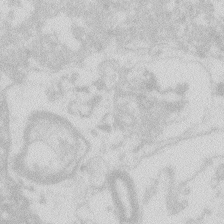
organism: Zebrafish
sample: Macrophage